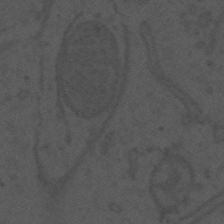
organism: Mouse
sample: Suprachiasmatic nucleus